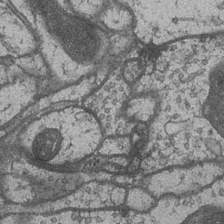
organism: Drosophila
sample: Optic medulla